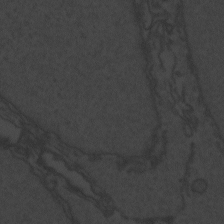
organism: Zebrafish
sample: Macrophage infected with Toxoplasma gondii